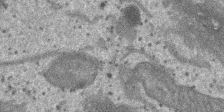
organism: Human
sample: Lung epithelial cells infected with SARS-CoV-2